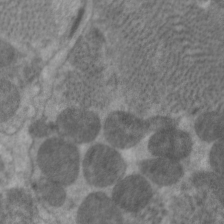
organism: C. elegans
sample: Pharynx